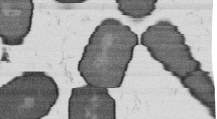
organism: B. subtilis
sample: Bacterial spore